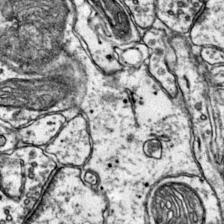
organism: Mouse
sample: Primary visual cortex